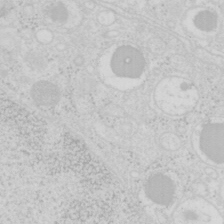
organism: Mouse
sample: Pancreas